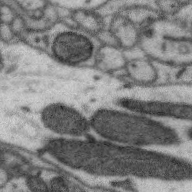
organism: Zebra finch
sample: Brain